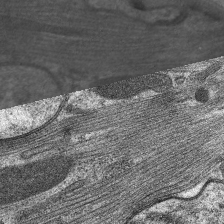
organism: C. elegans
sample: Pharynx